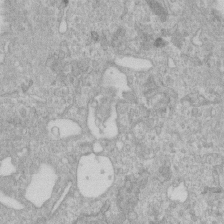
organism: Human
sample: Centriole in RPE cells